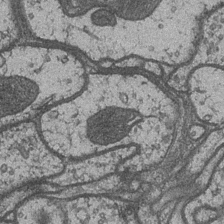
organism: Drosophila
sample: Optic medulla